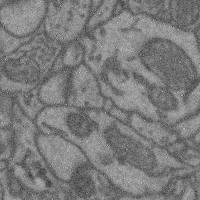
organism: Mouse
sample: Cerebral cortex